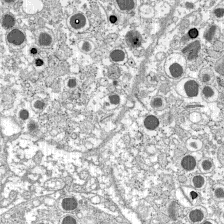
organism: C57BL Mouse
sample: Pancreatic islet